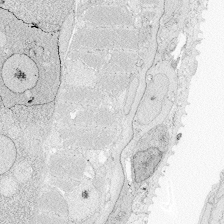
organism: Zebrafish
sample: Whole-Brain